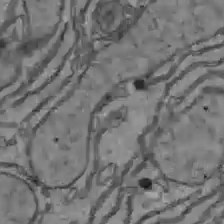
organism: C57BL Mouse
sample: Liver